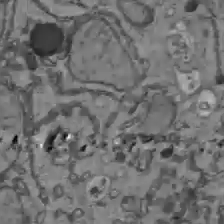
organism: C57BL Mouse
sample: Liver